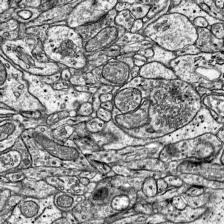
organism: Mouse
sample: Visual Cortex